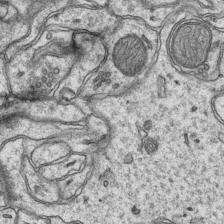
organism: Mouse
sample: CA1 Hippocampus